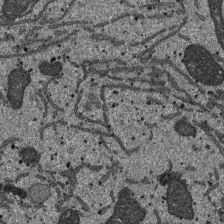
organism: Human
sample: Lung epithelial cells infected with SARS-CoV-2